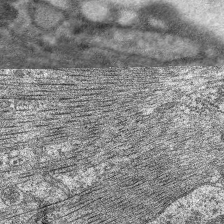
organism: C. elegans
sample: Pharynx